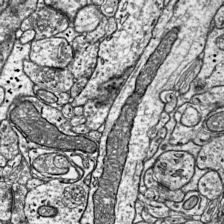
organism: Mouse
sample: Visual Cortex